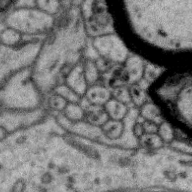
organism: Zebra finch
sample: Brain